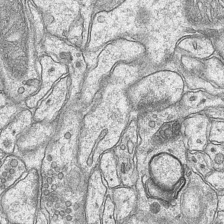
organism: Mouse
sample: CA1 Hippocampus